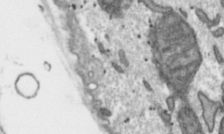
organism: Toxoplasma gondii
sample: Parasites in a vacuole inside a host cell